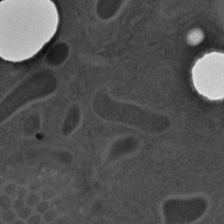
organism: C. elegans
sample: C. elegans embryo